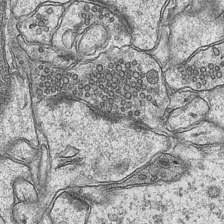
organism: Mouse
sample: CA1 Hippocampus